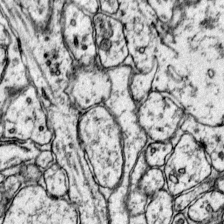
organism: Mouse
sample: Primary visual cortex